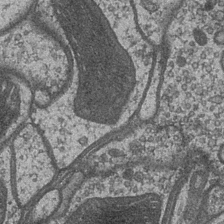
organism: Drosophila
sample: Optic medulla